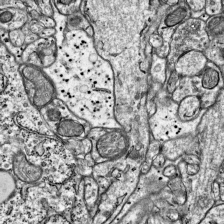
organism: Mouse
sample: Visual Cortex